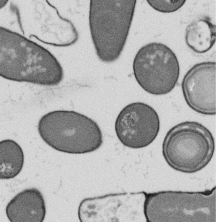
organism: B. subtilis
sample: Bacterial spore